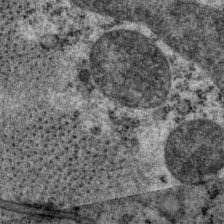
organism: P. pacificus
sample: Pharynx